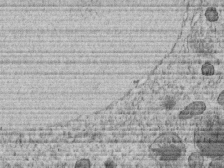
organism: C. elegans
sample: C. elegans embryo early stage